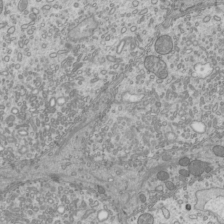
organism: Mouse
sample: Cilia; mouse epididymis